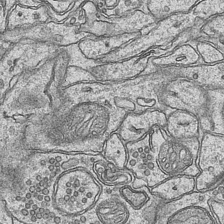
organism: Mouse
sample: CA1 Hippocampus